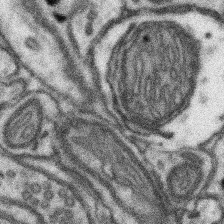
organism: Mouse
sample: Somatosensory cortex neuropil